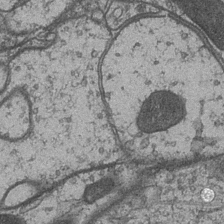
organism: Drosophila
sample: Optic medulla